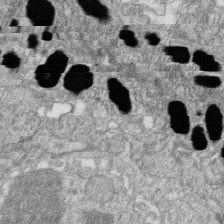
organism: Zebrafish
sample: Cilia; retinal pigment epithelium